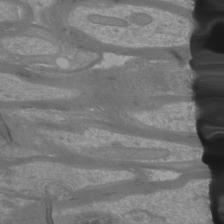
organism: Mouse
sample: Cortical neurons